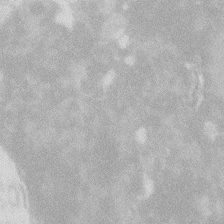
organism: Zebrafish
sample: Macrophage